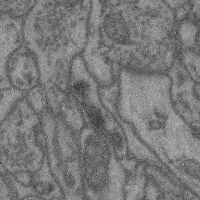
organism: Mouse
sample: Cerebral cortex